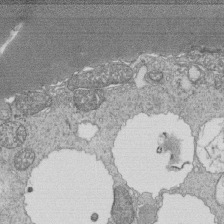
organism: Tetrahymena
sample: Cilia in tetrahymena